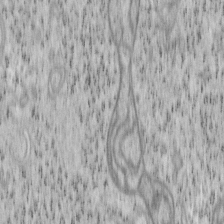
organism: Human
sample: HeLa cells